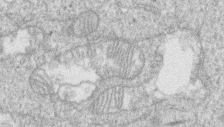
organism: Human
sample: HeLa cell HIV synapse